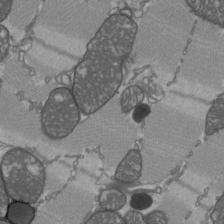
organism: C57BL Mouse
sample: Heart